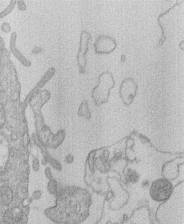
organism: Human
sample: Macrophage cells